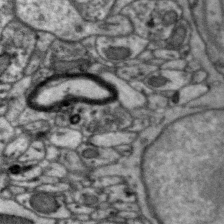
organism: Zebra finch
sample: Brain